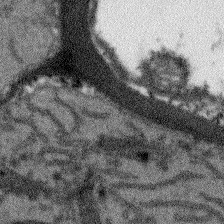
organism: Arabidopsis thaliana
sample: Root tip